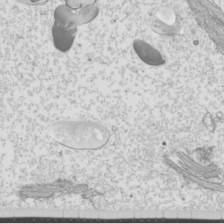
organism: Mouse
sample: Cilia; mouse epididymis